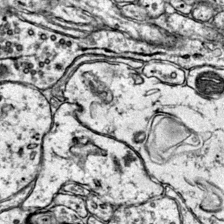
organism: Mouse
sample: Primary visual cortex